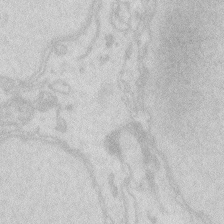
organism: Zebrafish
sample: Macrophage